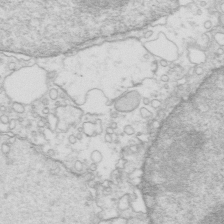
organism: Mouse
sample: Multiciliated cells